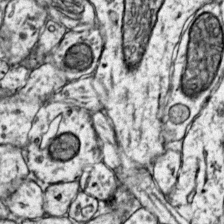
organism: Mouse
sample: Primary visual cortex